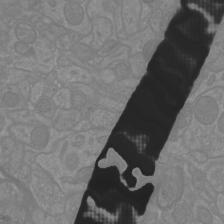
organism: Mouse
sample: Cortical neurons